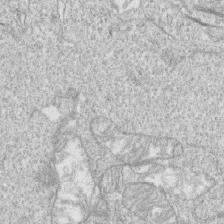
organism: Human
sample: HeLa cell HIV synapse